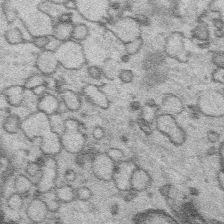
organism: Platynereis dumerilii